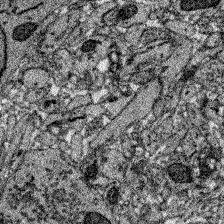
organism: Zebrafish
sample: Larval olfactory bulb